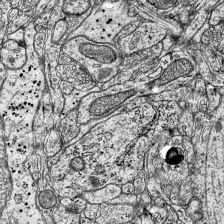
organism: Mouse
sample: Visual Cortex